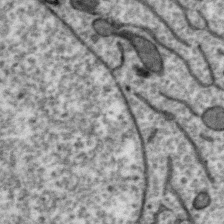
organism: Zebra finch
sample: Brain